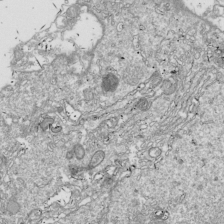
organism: Drosophila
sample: Cell division; meiosis; drosophila spermatocytes